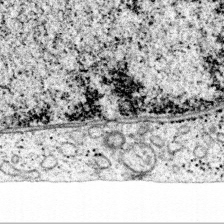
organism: Human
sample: HeLa cells